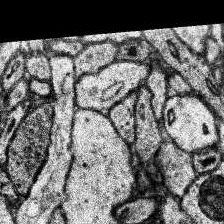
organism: Human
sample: Temporal Lobe